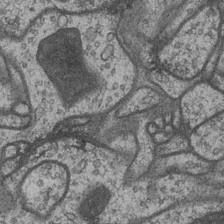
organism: Drosophila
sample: Optic medulla